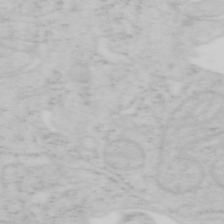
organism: Mouse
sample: OT-I killer T cells with ID8 ovarian cancer cells